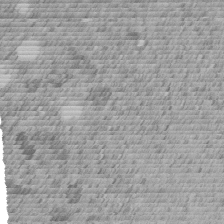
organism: C. elegans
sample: C. elegans embryo early stage